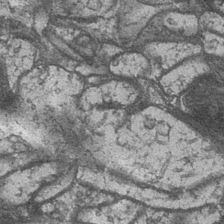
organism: Drosophila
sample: Optic medulla